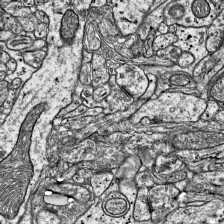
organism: Mouse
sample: Visual Cortex